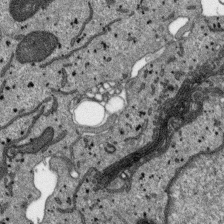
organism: Human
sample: Lung epithelial cells, uninfected (mock) control